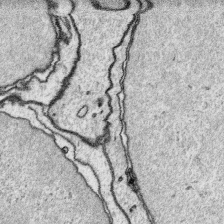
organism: Platynereis dumerilii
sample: Parapodia